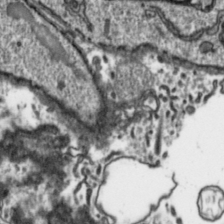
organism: Toxoplasma gondii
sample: Parasites in a vacuole inside a host cell